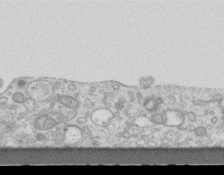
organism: Mouse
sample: Centriole in ependymal cells